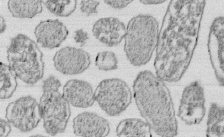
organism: E. coli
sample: Bacterial nucleoid